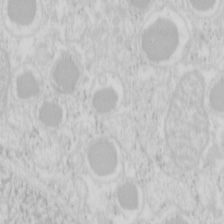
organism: Mouse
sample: Pancreas